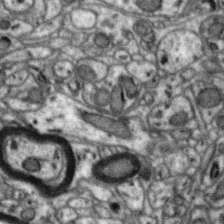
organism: Zebra finch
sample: Brain